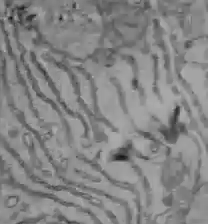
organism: C57BL Mouse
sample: Liver